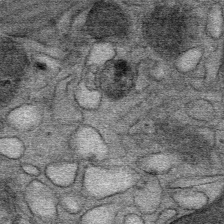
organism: Mouse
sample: Mouse Salivary gland